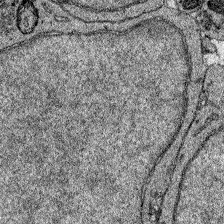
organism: Zebrafish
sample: Larval olfactory bulb